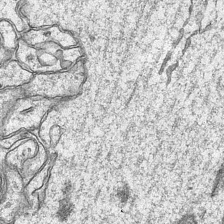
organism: Mouse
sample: CA1 Hippocampus